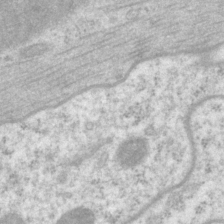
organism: P. pacificus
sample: Pharynx